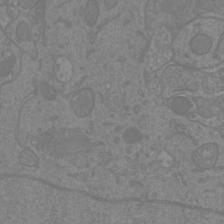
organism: Mouse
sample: Cortical neurons